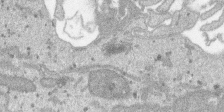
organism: Human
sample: Lung epithelial cells infected with SARS-CoV-2